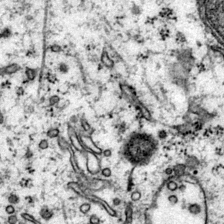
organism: Mouse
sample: Primary visual cortex